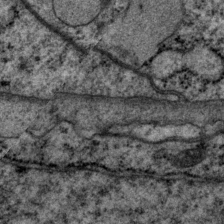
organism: P. pacificus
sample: Pharynx